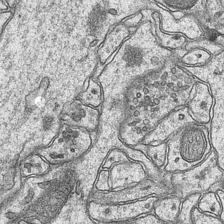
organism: Mouse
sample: CA1 Hippocampus